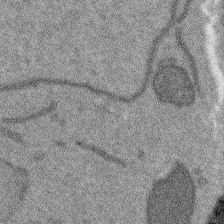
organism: Arabidopsis thaliana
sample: Root tip